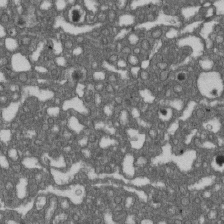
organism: Drosophila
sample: Nephrocyte